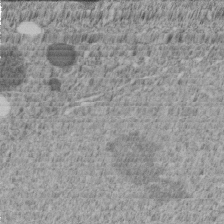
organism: C. elegans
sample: C. elegans embryo early stage